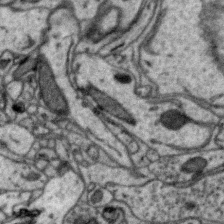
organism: Zebra finch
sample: Brain